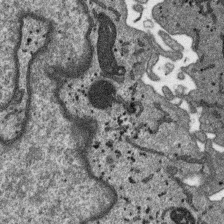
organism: Human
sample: Lung epithelial cells infected with SARS-CoV-2